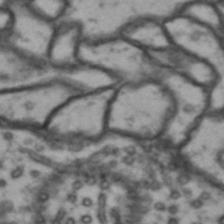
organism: Drosophila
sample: Brain